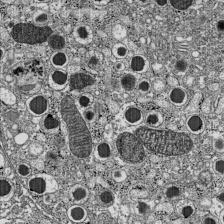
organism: C57BL Mouse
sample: Pancreatic islet